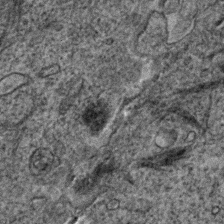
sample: Trachea